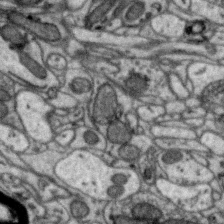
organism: Zebra finch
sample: Brain